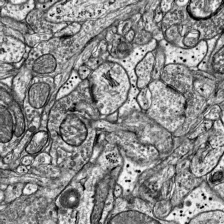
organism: Mouse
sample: Visual Cortex